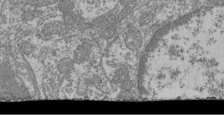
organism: Mouse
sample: Glomerulus